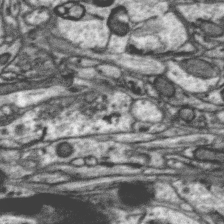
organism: Zebra finch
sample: Brain